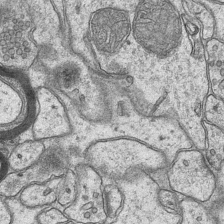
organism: Mouse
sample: CA1 Hippocampus